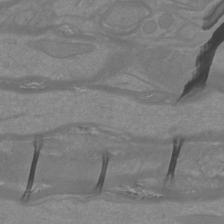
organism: Mouse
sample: Cortical neurons